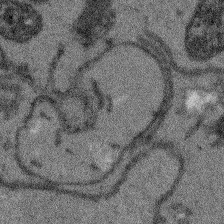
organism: Arabidopsis thaliana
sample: Root tip